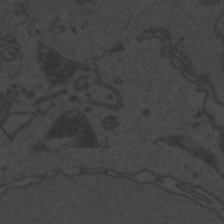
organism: Zebrafish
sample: Macrophage infected with Toxoplasma gondii